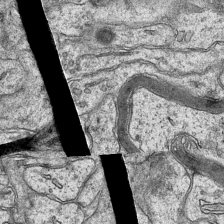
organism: Mouse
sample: CA1 Hippocampus